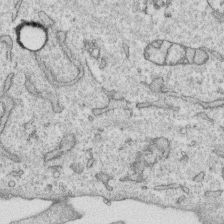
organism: Human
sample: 1205lu cells